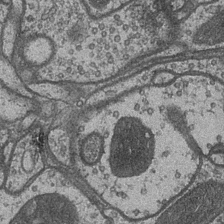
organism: Drosophila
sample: Optic medulla